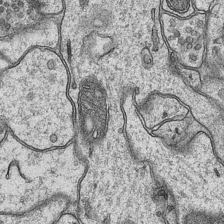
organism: Mouse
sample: CA1 Hippocampus